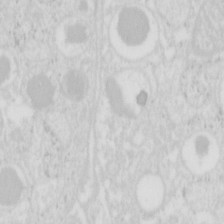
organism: Mouse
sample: Pancreas